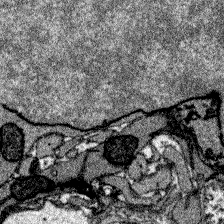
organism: Zebrafish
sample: Larval olfactory bulb